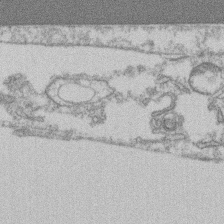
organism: Mouse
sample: T cell stromal cell synapse